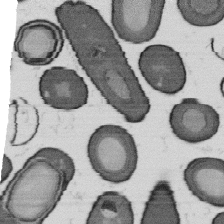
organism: B. subtilis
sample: Bacterial spore